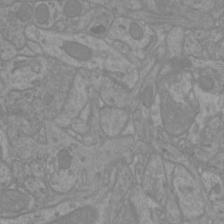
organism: Mouse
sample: Cortical neurons